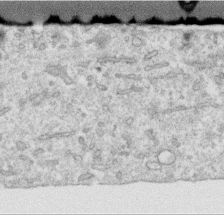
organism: Human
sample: Centriole in RPE cells